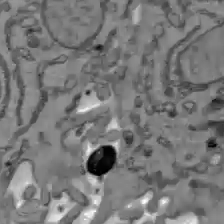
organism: C57BL Mouse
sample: Liver